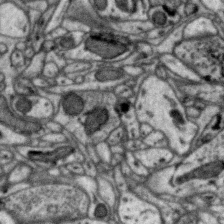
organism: Zebra finch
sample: Brain